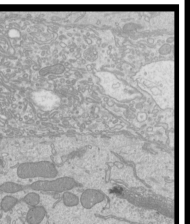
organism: Mouse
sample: Cilia; mouse epididymis